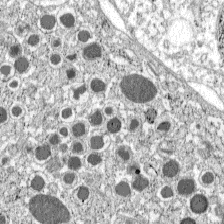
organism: C57BL Mouse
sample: Pancreatic islet